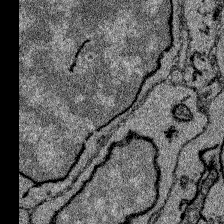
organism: Zebrafish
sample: Larval olfactory bulb